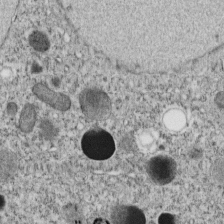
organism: C. elegans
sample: C. elegans embryo early stage